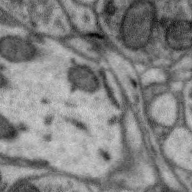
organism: Zebra finch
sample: Brain